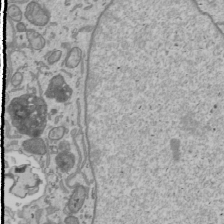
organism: Human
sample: Mitochondria in U2OS cells